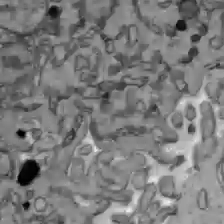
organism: C57BL Mouse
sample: Liver